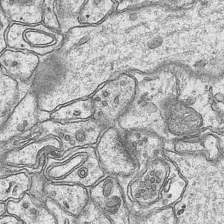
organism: Mouse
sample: CA1 Hippocampus